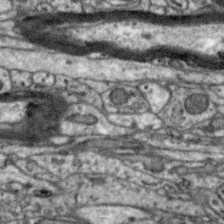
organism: Zebra finch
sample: Brain